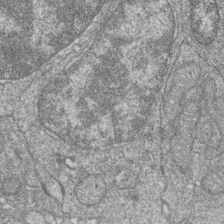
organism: Zebrafish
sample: Cilia; retinal pigment epithelium